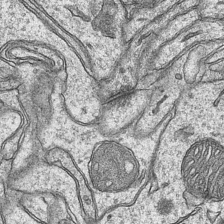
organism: Mouse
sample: CA1 Hippocampus